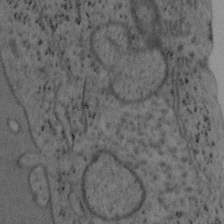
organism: Human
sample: HeLa cells